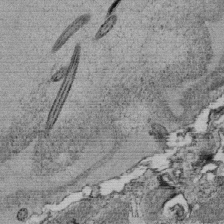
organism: Tetrahymena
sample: Cilia in tetrahymena